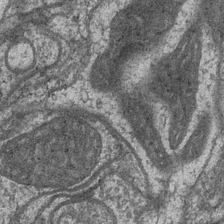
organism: Drosophila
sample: Optic medulla